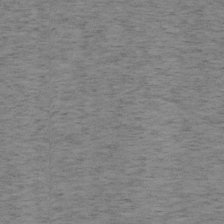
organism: Mouse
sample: OT-I killer T cells with ID8 ovarian cancer cells